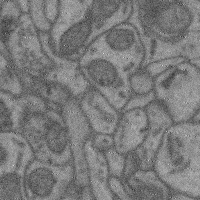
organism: Mouse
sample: Cerebral cortex